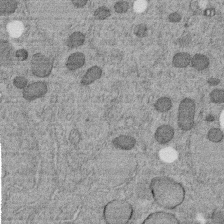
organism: C. elegans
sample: C. elegans embryo early stage